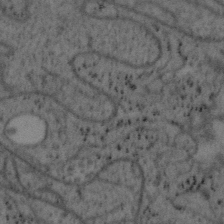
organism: Human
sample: HeLa cells